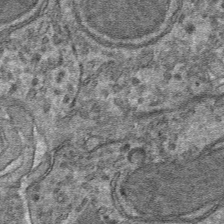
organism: Mouse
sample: Mouse hepatocytes